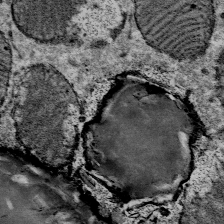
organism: Mouse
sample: Mouse Salivary gland